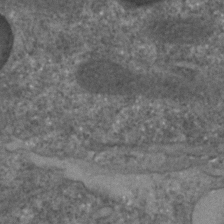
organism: C. elegans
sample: C. elegans embryo